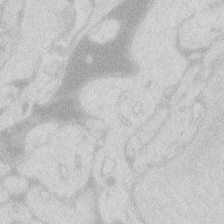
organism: Zebrafish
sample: Macrophage